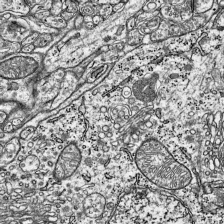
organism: Mouse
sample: Visual Cortex